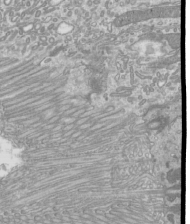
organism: Mouse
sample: Cilia; mouse epididymis